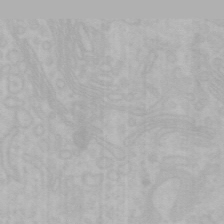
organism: Mouse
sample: Choroid plexus